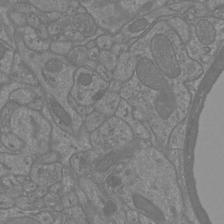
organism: Mouse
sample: Cortical neurons